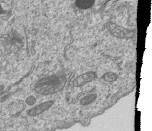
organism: Human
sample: MDA-MB-231 cells